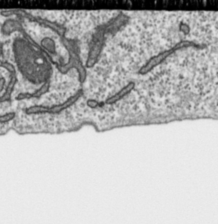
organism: Toxoplasma gondii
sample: Parasites in a vacuole inside a host cell